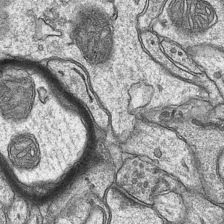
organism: Mouse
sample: CA1 Hippocampus